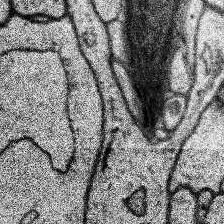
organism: Human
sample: Temporal Lobe